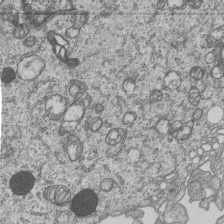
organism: Human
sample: MDA-MB-231 cells